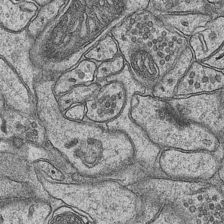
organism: Mouse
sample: CA1 Hippocampus